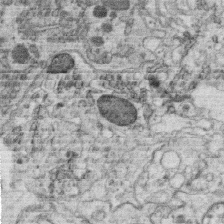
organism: C. elegans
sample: C. elegans oocyte; sperm cells